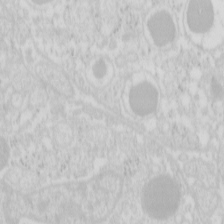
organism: Mouse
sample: Pancreas